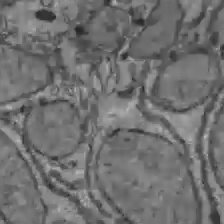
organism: C57BL Mouse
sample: Liver